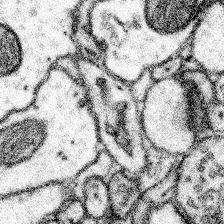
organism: Mouse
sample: Somatosensory cortex neuropil